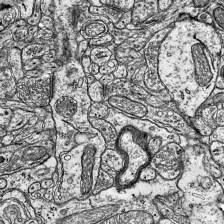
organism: Mouse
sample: Visual Cortex